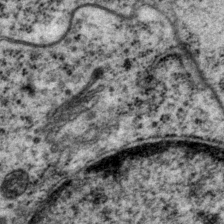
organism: P. pacificus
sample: Pharynx